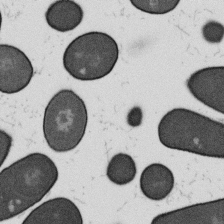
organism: B. subtilis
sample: Bacterial spore